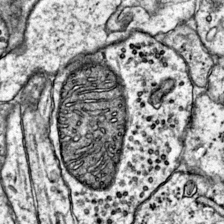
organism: Mouse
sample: Primary visual cortex